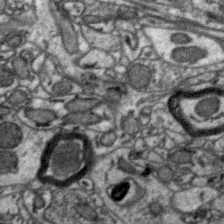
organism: Zebra finch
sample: Brain